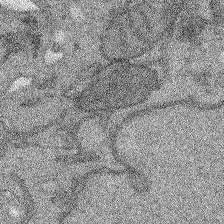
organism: Human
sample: HeLa cells